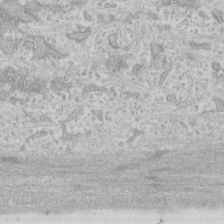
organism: Human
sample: CRL-1474